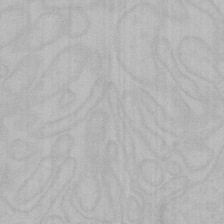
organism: Mouse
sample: Choroid plexus